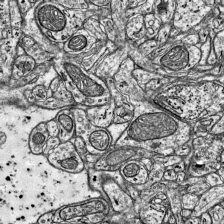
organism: Mouse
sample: Visual Cortex